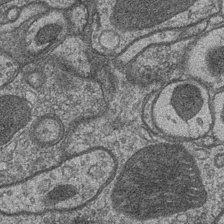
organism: Drosophila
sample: Optic medulla